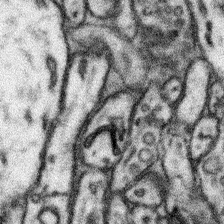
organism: Mouse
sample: Somatosensory cortex neuropil